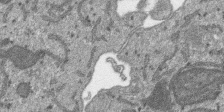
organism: Human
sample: Lung epithelial cells infected with SARS-CoV-2